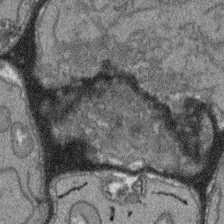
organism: Arabidopsis thaliana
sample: Root tip